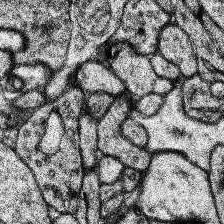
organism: Human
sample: Temporal Lobe